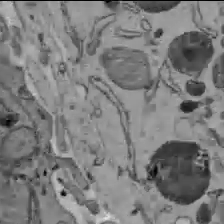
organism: C57BL Mouse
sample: Liver